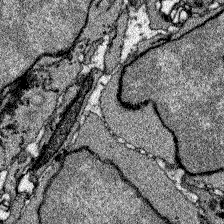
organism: Zebrafish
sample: Larval olfactory bulb